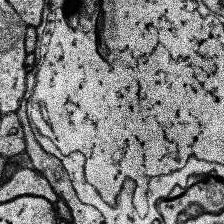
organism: Human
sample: Temporal Lobe